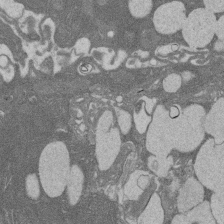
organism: Rat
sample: Salivary granule